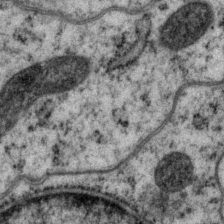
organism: P. pacificus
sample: Pharynx